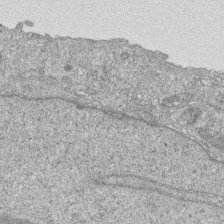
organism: Human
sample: HeLa cell HIV synapse